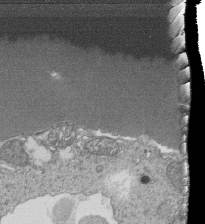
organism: Tetrahymena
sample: Cilia in tetrahymena